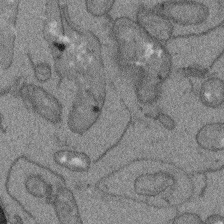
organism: Arabidopsis thaliana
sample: Root tip